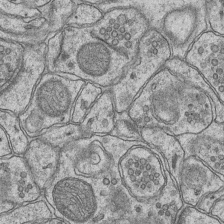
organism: Mouse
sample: CA1 Hippocampus